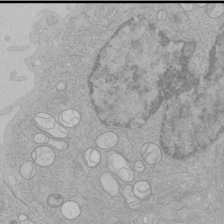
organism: Human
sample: Mitochondria in HCT116 cells